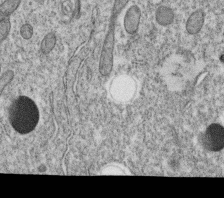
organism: C. elegans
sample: C. elegans oocyte; sperm cells